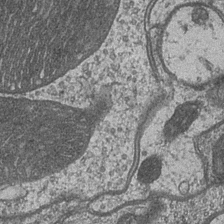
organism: Drosophila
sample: Optic medulla